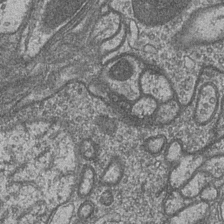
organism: Drosophila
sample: Optic medulla